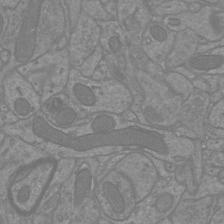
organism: Mouse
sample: Cortical neurons